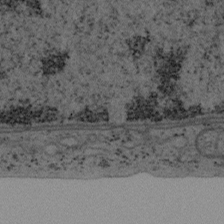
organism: Human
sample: HeLa cells